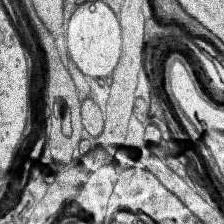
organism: Human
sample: Temporal Lobe